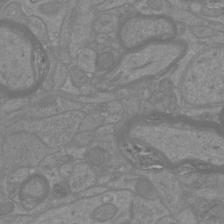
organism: Mouse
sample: Cortical neurons